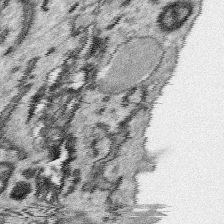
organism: Human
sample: HeLa cells